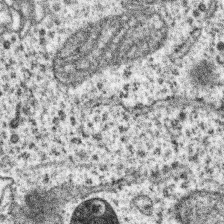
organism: Human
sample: HeLa cells